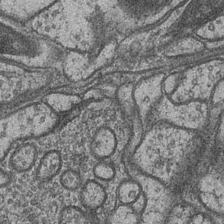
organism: Drosophila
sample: Optic medulla